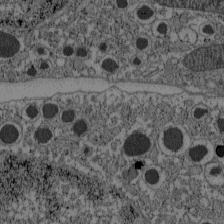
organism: C57BL Mouse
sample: Pancreatic islet